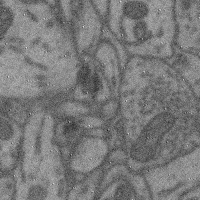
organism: Mouse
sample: Cerebral cortex